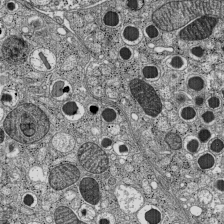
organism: C57BL Mouse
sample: Pancreatic islet